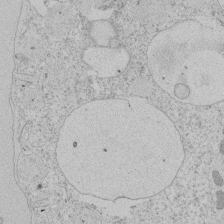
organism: Tetrahymena